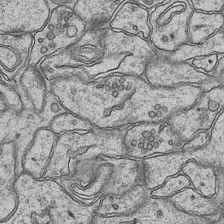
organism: Mouse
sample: CA1 Hippocampus